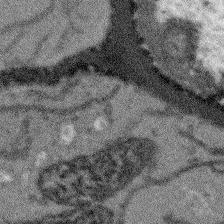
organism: Arabidopsis thaliana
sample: Root tip